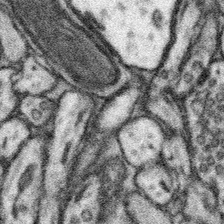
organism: Mouse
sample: Somatosensory cortex neuropil